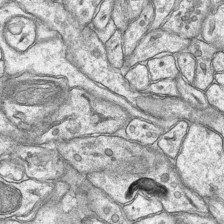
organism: Mouse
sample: CA1 Hippocampus